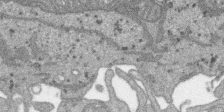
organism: Human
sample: Lung epithelial cells infected with SARS-CoV-2